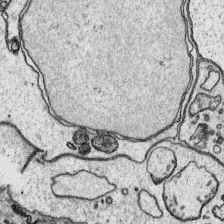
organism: Platynereis dumerilii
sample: Parapodia